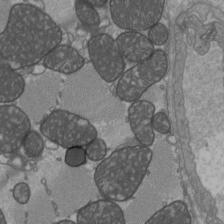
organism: C57BL Mouse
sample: Heart